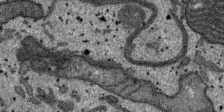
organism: Human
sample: Lung epithelial cells, uninfected (mock) control